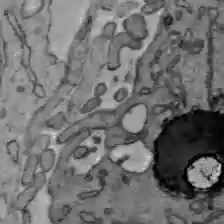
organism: C57BL Mouse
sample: Liver